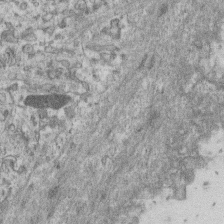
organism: Mouse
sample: Centriole in ependymal cells